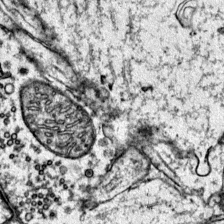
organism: Mouse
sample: Primary visual cortex